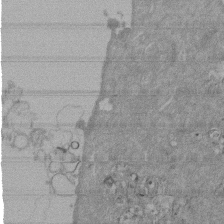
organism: Mouse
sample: ED-1 cell nuclei; centrioles